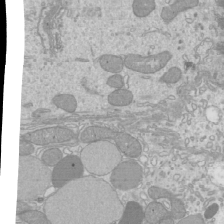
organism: Mouse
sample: Cilia; mouse epididymis